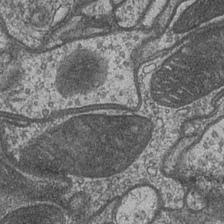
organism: Drosophila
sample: Optic medulla